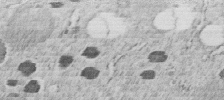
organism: C. elegans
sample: C. elegans embryo early stage